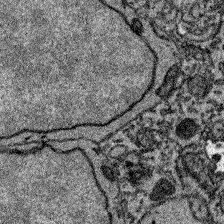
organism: Zebrafish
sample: Larval olfactory bulb